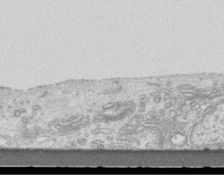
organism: Mouse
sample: Centriole in ependymal cells